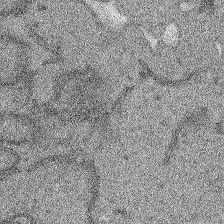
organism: Human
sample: HeLa cells